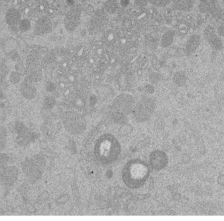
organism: Mouse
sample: Dividing mouse embryo 1 cell stage